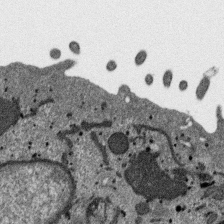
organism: Human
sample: Lung epithelial cells, uninfected (mock) control